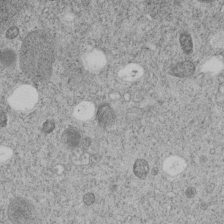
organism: C. elegans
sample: C. elegans embryo early stage